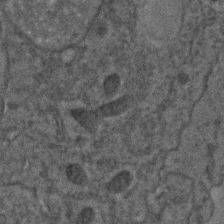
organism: C. elegans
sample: C. elegans embryo